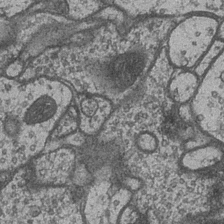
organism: Drosophila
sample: Optic medulla